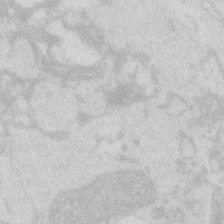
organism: Zebrafish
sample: Macrophage